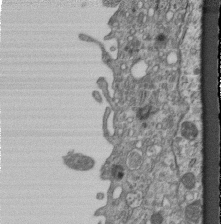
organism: Mouse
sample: Centriole in ependymal cells